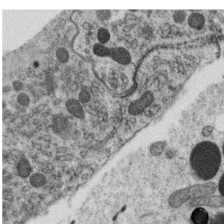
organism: C. elegans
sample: C. elegans oocyte; sperm cells